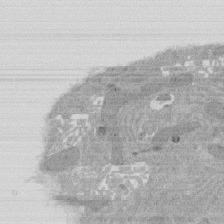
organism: Rat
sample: Salivary granule